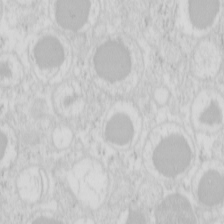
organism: Mouse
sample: Pancreas